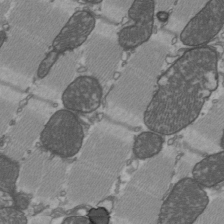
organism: C57BL Mouse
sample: Heart